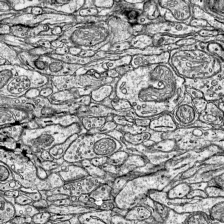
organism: Mouse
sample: Visual Cortex